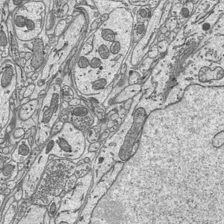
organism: Mouse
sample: Suprachiasmatic nucleus